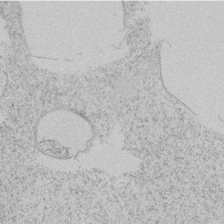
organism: Tetrahymena